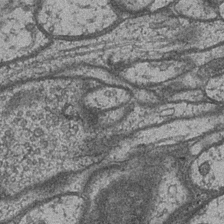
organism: Drosophila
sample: Optic medulla